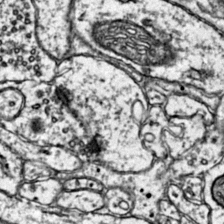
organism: Mouse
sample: Primary visual cortex